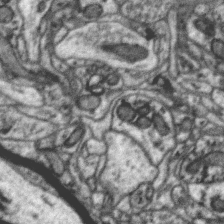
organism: Zebra finch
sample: Brain